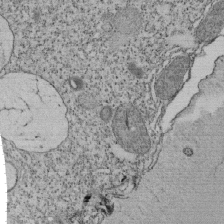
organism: Tetrahymena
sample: Cilia in tetrahymena